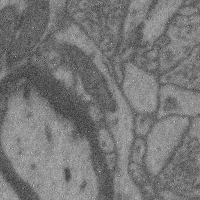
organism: Mouse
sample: Cerebral cortex